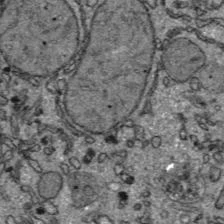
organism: C57BL Mouse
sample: Liver